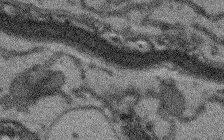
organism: Arabidopsis thaliana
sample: Root tip